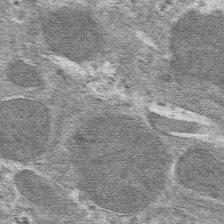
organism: Mouse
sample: Mouse hepatocytes